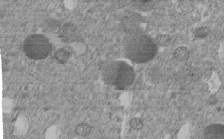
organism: C. elegans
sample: C. elegans embryo early stage